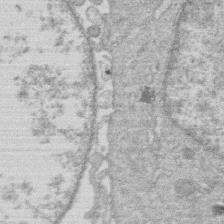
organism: Human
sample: Macrophage cells